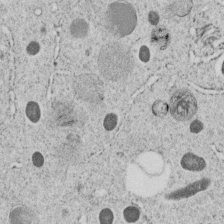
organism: C. elegans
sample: C. elegans embryo early stage